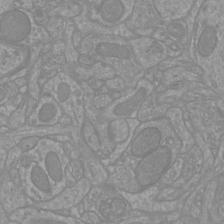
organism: Mouse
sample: Cortical neurons